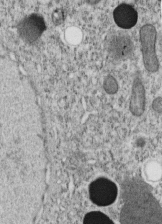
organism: C. elegans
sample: C. elegans embryo early stage